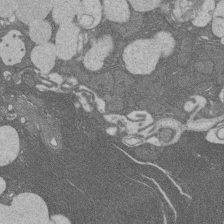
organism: Rat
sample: Salivary granule